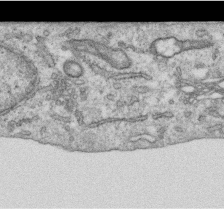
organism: Human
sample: Centriole in RPE cells